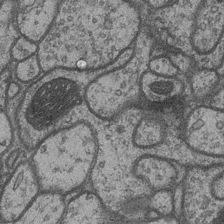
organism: Drosophila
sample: Optic medulla